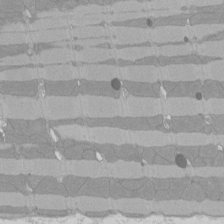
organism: Rat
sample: Left ventricle